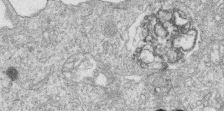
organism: Human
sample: HeLa cell HIV synapse